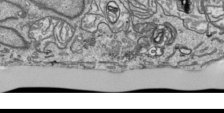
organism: Human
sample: Mitochondria in HCT116 cells